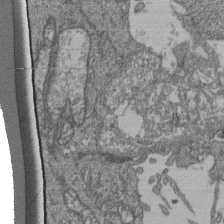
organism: Human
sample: Retinal organoid Rod and Cone cells